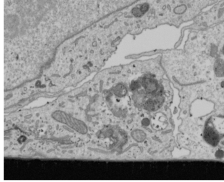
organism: Human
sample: Mitochondria in U2OS cells